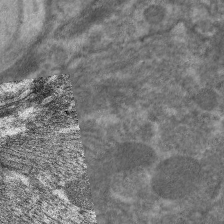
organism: C. elegans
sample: Pharynx